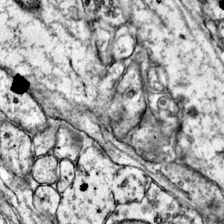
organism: Mouse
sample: Primary visual cortex